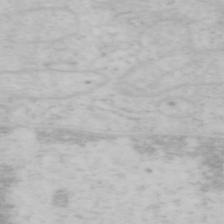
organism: Mouse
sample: OT-I killer T cells with ID8 ovarian cancer cells